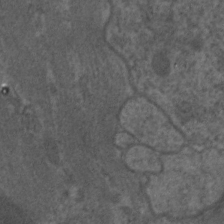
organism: C. elegans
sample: Pharynx